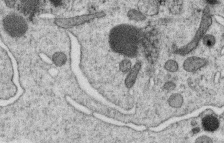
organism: C. elegans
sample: C. elegans oocyte; sperm cells